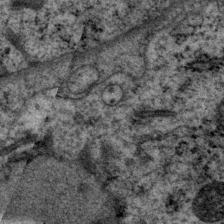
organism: P. pacificus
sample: Pharynx